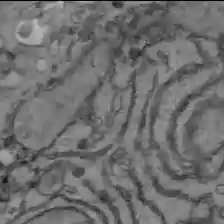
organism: C57BL Mouse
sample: Liver